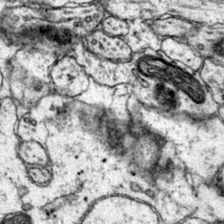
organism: Mouse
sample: Primary visual cortex